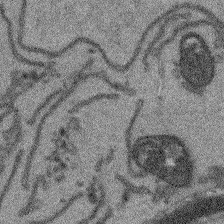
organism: Arabidopsis thaliana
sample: Root tip